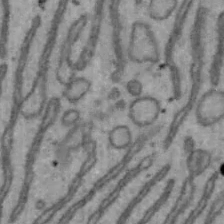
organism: Mouse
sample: Liver